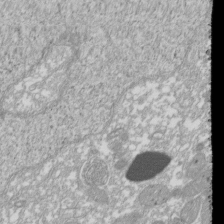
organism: Xenopus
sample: Cilia; centrioles in frog embryo cells